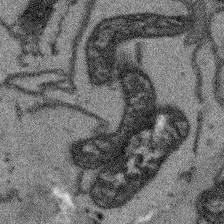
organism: Arabidopsis thaliana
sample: Root tip